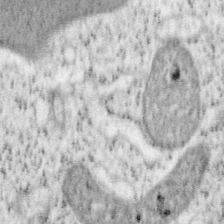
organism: Mouse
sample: OT-I killer T cells with ID8 ovarian cancer cells